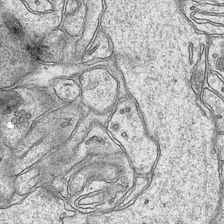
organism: Mouse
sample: CA1 Hippocampus